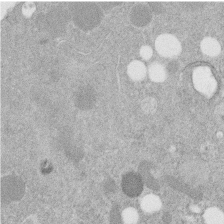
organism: C. elegans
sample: C. elegans embryo early stage